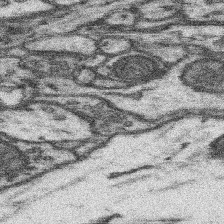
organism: Mouse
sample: Somatosensory cortex neuropil